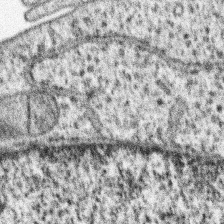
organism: Human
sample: HeLa cells